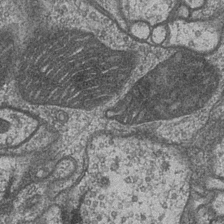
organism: Drosophila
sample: Optic medulla